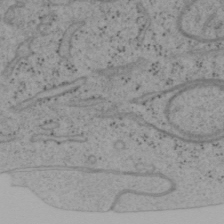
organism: Human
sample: HeLa cells